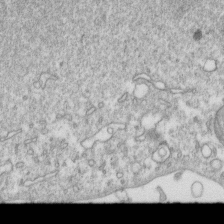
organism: Mouse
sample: Activated OT-1 CD8+ T cells